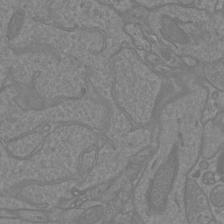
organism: Mouse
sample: Cortical neurons